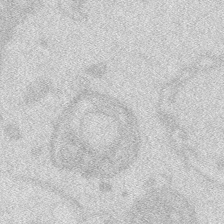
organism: Zebrafish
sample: Macrophage